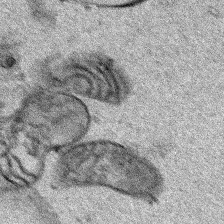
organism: Human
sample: Mitochondria in HCT116 cells